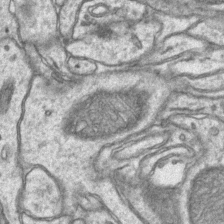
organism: Mouse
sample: CA1 Hippocampus